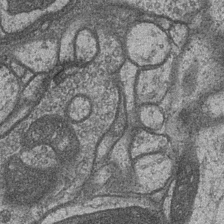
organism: Drosophila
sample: Optic medulla